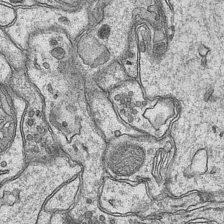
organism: Mouse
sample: CA1 Hippocampus